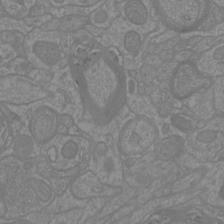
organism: Mouse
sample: Cortical neurons